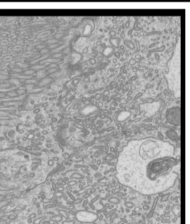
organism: Mouse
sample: Cilia; mouse epididymis